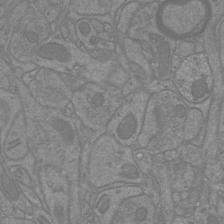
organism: Mouse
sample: Cortical neurons